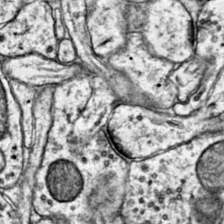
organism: Mouse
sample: Primary visual cortex